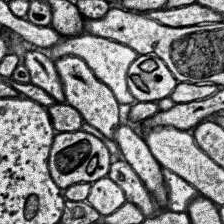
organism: Human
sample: Temporal Lobe